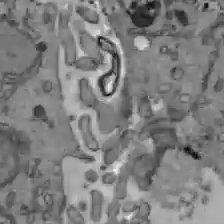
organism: C57BL Mouse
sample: Liver